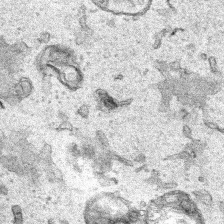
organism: Human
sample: Mitochondria in HCT116 cells